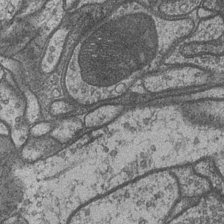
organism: Drosophila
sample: Optic medulla